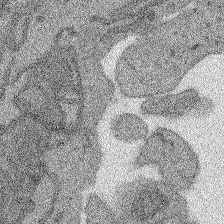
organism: Human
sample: HeLa cells